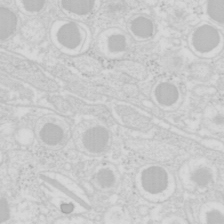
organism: Mouse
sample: Pancreas